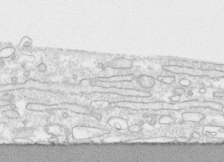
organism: Human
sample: CRL-1474